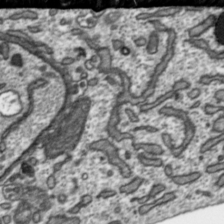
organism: Toxoplasma gondii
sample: Parasites in a vacuole inside a host cell